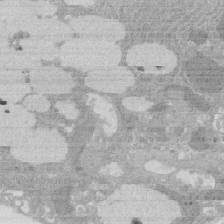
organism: Rat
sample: Salivary granule